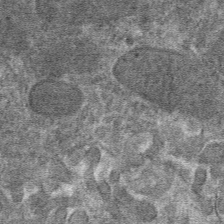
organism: Mouse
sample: Mouse hepatocytes